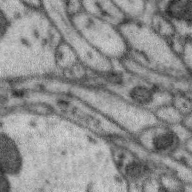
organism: Zebra finch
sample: Brain